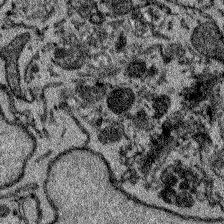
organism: Zebrafish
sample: Larval olfactory bulb